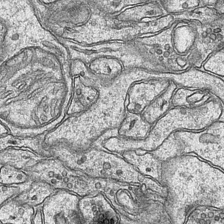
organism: Mouse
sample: CA1 Hippocampus